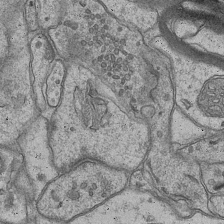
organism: Mouse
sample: CA1 Hippocampus